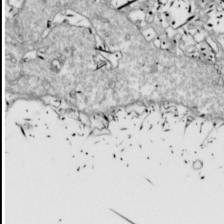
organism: Drosophila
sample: Cell division; meiosis; drosophila spermatocytes